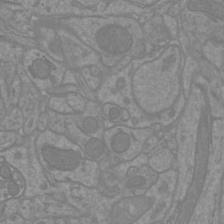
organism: Mouse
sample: Cortical neurons